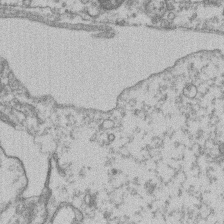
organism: Mouse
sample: T cell stromal cell synapse